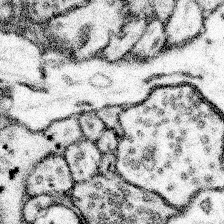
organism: Mouse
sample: Somatosensory cortex neuropil